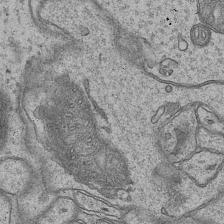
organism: Mouse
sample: CA1 Hippocampus